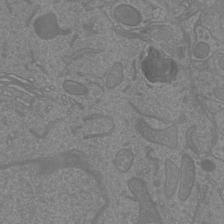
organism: Mouse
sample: Cortical neurons